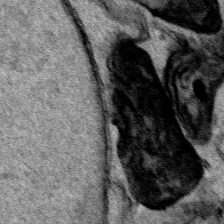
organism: Human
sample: Mitochondria in HCT116 cells